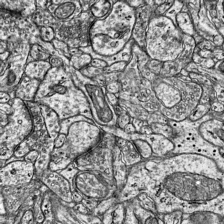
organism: Mouse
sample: Visual Cortex